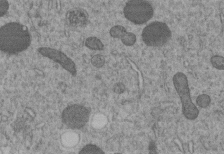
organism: C. elegans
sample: C. elegans embryo early stage